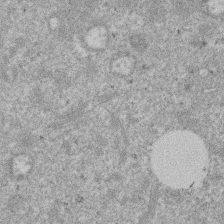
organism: Mouse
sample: Dividing mouse embryo 1 cell stage